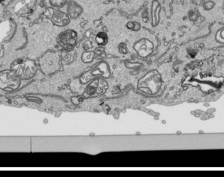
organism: Human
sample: Mitochondria in HCT116 cells